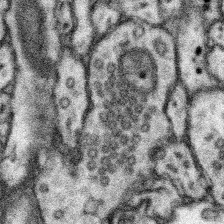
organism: Mouse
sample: Somatosensory cortex neuropil